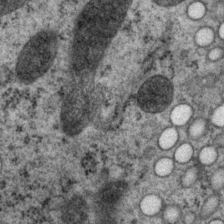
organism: P. pacificus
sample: Pharynx